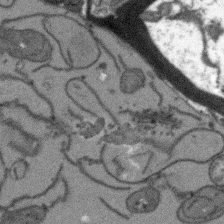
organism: Arabidopsis thaliana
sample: Root tip